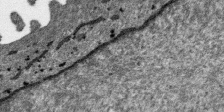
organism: Human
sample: Lung epithelial cells, uninfected (mock) control